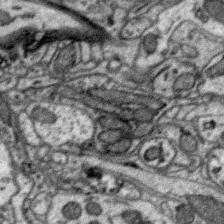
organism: Zebra finch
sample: Brain